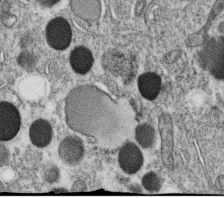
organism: C. elegans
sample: C. elegans oocyte; sperm cells